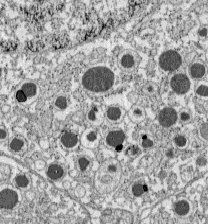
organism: C57BL Mouse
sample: Pancreatic islet